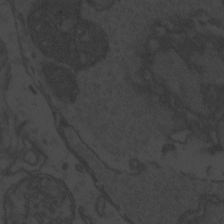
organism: Zebrafish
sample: Macrophage infected with Toxoplasma gondii